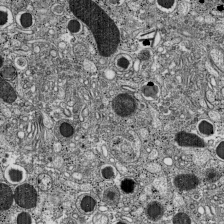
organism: C57BL Mouse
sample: Pancreatic islet